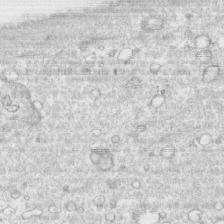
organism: Human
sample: CRL-1474